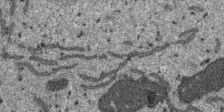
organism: Human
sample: Lung epithelial cells infected with SARS-CoV-2